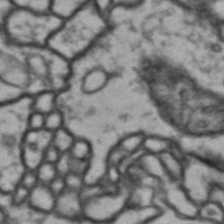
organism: Drosophila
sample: Brain